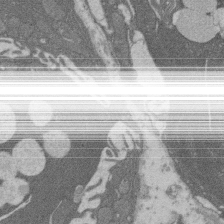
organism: Rat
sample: Salivary granule